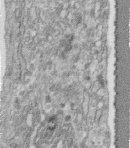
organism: Human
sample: Centriole in fibroblast cells